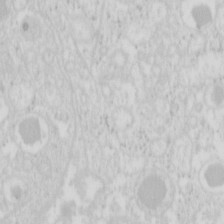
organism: Mouse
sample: Pancreas